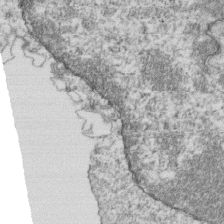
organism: Mouse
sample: Activated OT-1 CD8+ T cells